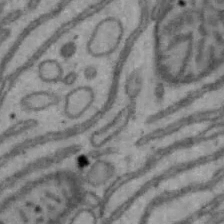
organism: Mouse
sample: Liver